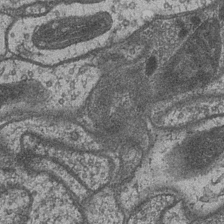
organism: Drosophila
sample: Optic medulla